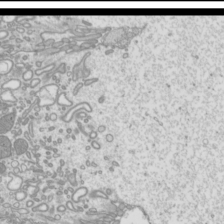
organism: Mouse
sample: Cilia; mouse epididymis